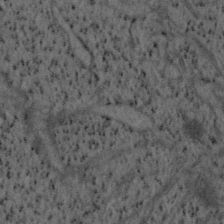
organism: Human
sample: HeLa cells